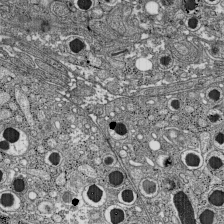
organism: C57BL Mouse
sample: Pancreatic islet